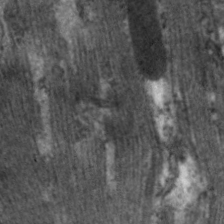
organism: C. elegans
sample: Pharynx